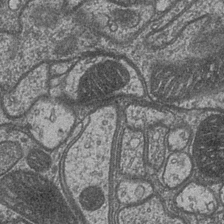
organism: Drosophila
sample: Optic medulla